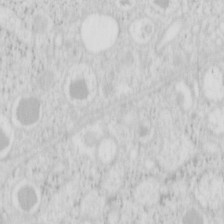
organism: Mouse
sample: Pancreas